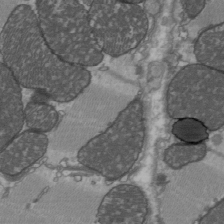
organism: C57BL Mouse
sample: Heart